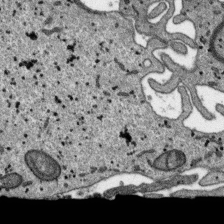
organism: Human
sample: Lung epithelial cells, uninfected (mock) control